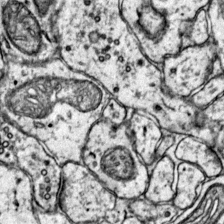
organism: Mouse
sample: Primary visual cortex